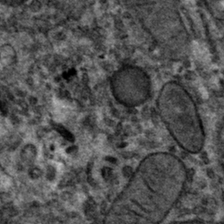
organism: Mouse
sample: Mouse hepatocytes